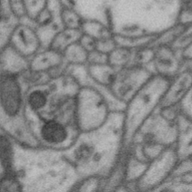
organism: Zebra finch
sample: Brain